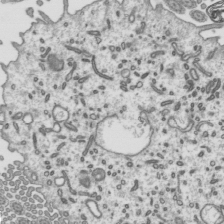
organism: Mouse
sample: Mouse epididymis efferent ductule cilia